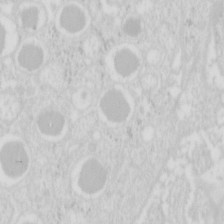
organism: Mouse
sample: Pancreas